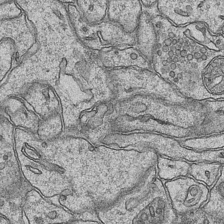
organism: Mouse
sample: CA1 Hippocampus